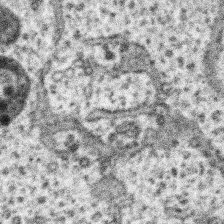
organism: Human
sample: HeLa cells